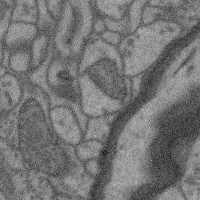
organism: Mouse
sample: Cerebral cortex